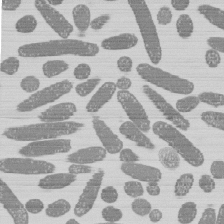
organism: E. coli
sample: Bacterial nucleoid